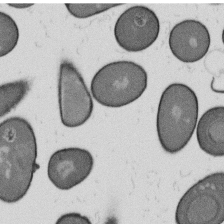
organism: B. subtilis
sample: Bacterial spore